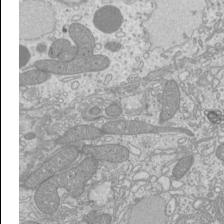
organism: Mouse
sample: Cilia; mouse epididymis